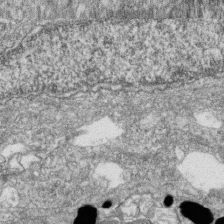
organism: Zebrafish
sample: Cilia; retinal pigment epithelium